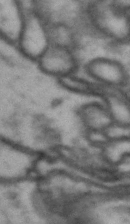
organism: Drosophila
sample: Brain